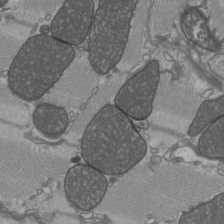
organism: C57BL Mouse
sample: Heart